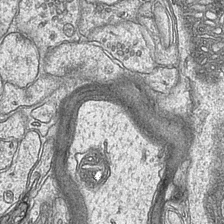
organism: Mouse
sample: CA1 Hippocampus